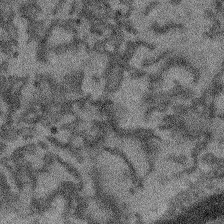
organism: Arabidopsis thaliana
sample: Root tip